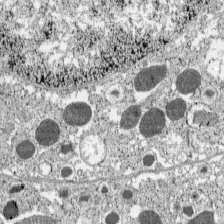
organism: C57BL Mouse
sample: Pancreatic islet